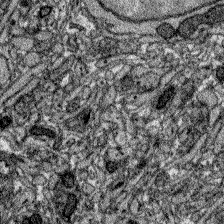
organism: Zebrafish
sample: Larval olfactory bulb